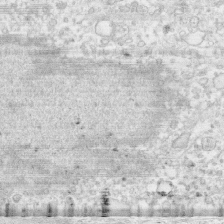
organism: Human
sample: CRL-1474